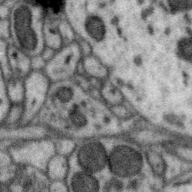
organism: Zebra finch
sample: Brain